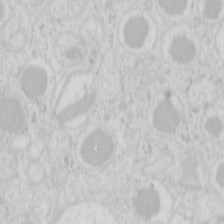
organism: Mouse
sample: Pancreas